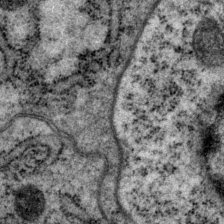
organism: P. pacificus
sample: Pharynx